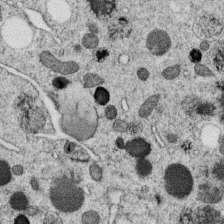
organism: C. elegans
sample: C. elegans oocyte; sperm cells